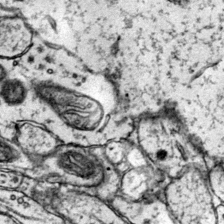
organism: Mouse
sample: Primary visual cortex